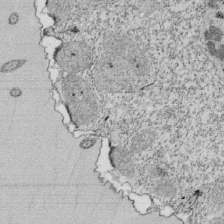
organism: Tetrahymena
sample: Cilia in tetrahymena